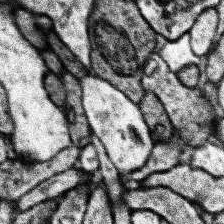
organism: Human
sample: Temporal Lobe